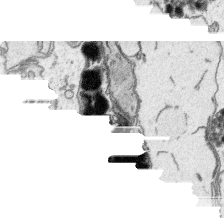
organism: Platynereis dumerilii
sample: Parapodia